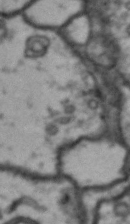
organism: Drosophila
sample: Brain